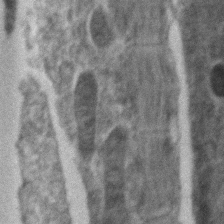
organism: Zebrafish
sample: Zebrafish embryo